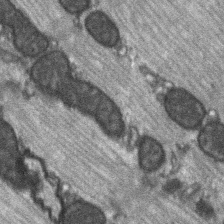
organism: C57BL Mouse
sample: Soleus